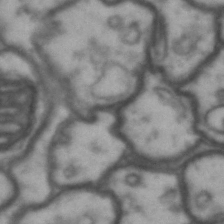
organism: Drosophila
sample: Brain